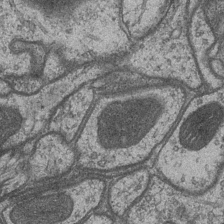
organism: Drosophila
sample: Optic medulla